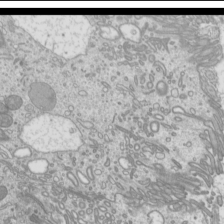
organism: Mouse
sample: Cilia; mouse epididymis